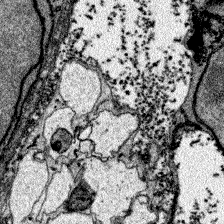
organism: Zebrafish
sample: Larval olfactory bulb